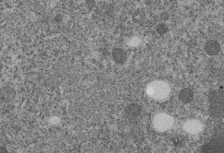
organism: C. elegans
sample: C. elegans embryo early stage